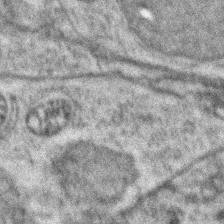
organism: Zebrafish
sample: Zebrafish embryo